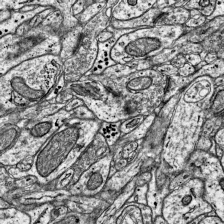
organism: Mouse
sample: Visual Cortex